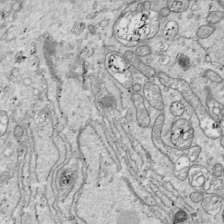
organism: Drosophila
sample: Cell division; meiosis; drosophila spermatocytes